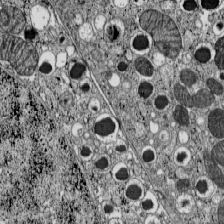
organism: C57BL Mouse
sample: Pancreatic islet